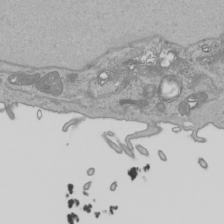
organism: Human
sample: Mitochondria in HCT116 cells